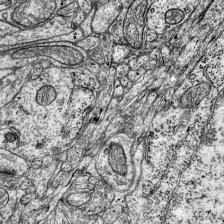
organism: Mouse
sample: Visual Cortex